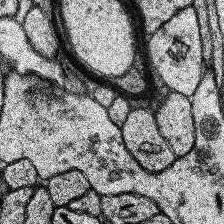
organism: Human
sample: Temporal Lobe